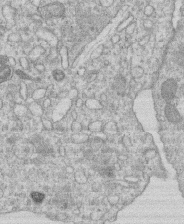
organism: Human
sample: Macrophage cells